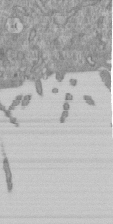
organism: Mouse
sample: ED-1 cell nuclei; centrioles